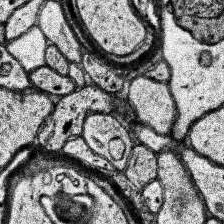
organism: Human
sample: Temporal Lobe